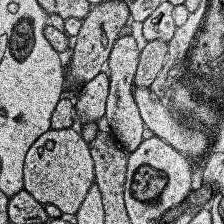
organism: Human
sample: Temporal Lobe